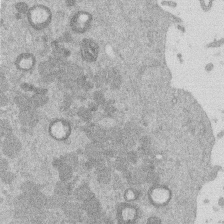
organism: Mouse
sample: Dividing mouse embryo 1 cell stage